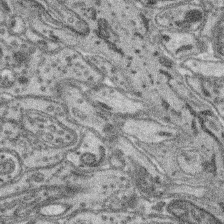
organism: Mouse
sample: Retina